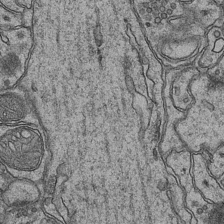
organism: Mouse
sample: CA1 Hippocampus